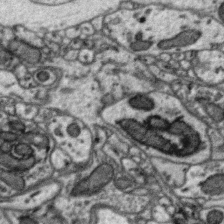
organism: Zebra finch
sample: Brain